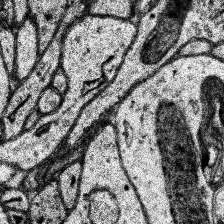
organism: Human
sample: Temporal Lobe